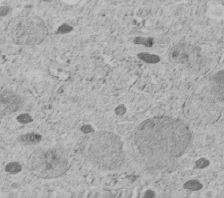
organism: C. elegans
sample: C. elegans embryo early stage